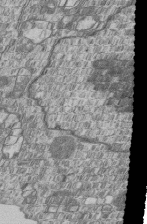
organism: Human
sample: MDA-MB-231 cells